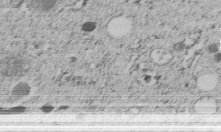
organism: C. elegans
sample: C. elegans embryo early stage